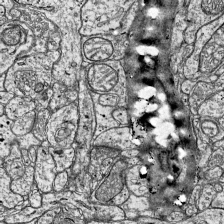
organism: Mouse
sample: Visual Cortex